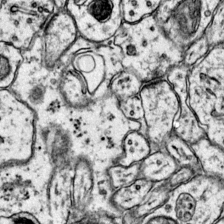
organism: Mouse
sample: Primary visual cortex